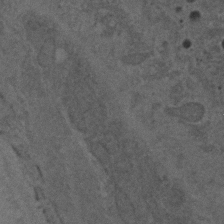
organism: C. elegans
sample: C. elegans embryo